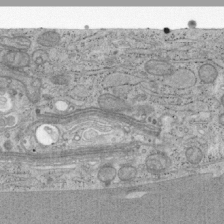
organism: Human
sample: HeLa cells